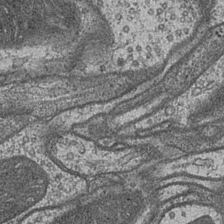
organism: Drosophila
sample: Optic medulla